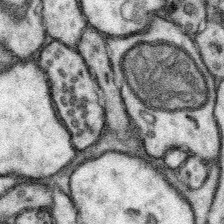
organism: Mouse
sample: Somatosensory cortex neuropil